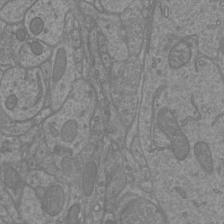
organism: Mouse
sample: Cortical neurons